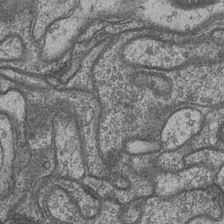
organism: Drosophila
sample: Optic medulla